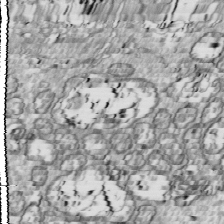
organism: Drosophila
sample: Cell division; meiosis; drosophila spermatocytes